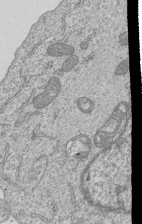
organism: Human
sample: MDA-MB-231 cells